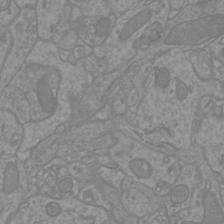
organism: Mouse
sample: Cortical neurons